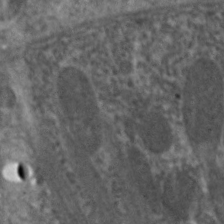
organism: C. elegans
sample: Pharynx